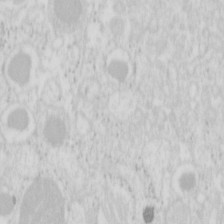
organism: Mouse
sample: Pancreas